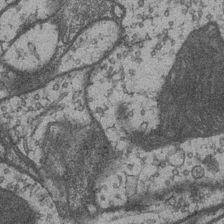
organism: Drosophila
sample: Optic medulla